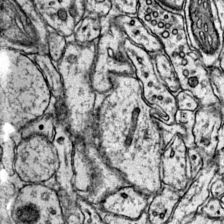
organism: Mouse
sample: Primary visual cortex